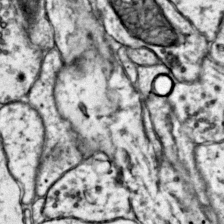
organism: Mouse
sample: Primary visual cortex